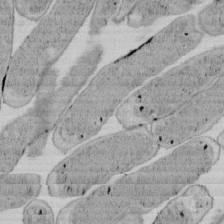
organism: E. coli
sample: Bacterial nucleoid